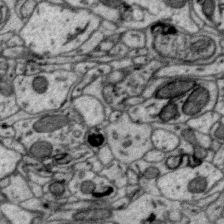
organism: Zebra finch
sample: Brain